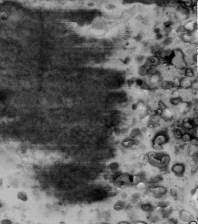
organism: Human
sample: U2-OS cells